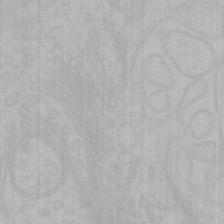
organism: Mouse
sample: Choroid plexus